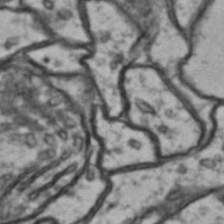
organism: Drosophila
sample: Brain